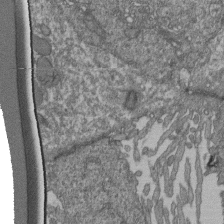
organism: Human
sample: Retinal organoid Rod and Cone cells